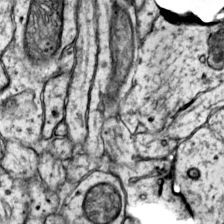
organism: Mouse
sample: Primary visual cortex